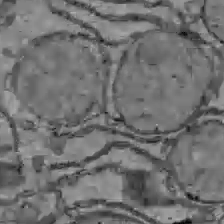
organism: C57BL Mouse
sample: Liver